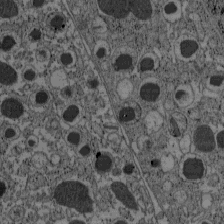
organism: C57BL Mouse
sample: Pancreatic islet